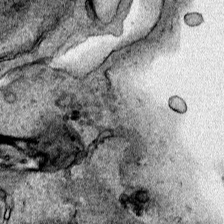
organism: Human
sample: Mitochondria in HCT116 cells